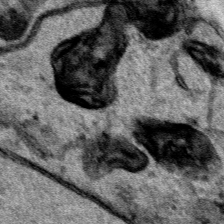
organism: Human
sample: Mitochondria in HCT116 cells